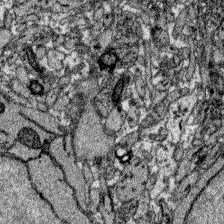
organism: Zebrafish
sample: Larval olfactory bulb